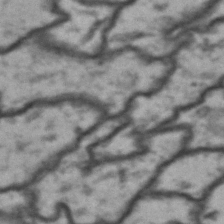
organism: Drosophila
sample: Brain